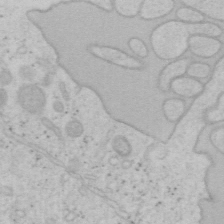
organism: Human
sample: HeLa cells